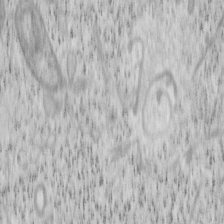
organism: Human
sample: HeLa cells